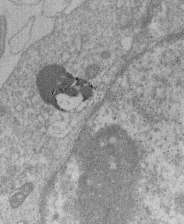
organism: Human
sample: Macrophage cells